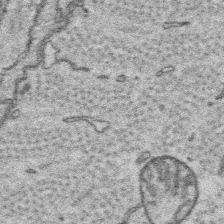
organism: Platynereis dumerilii